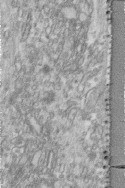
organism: Human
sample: Centriole in fibroblast cells